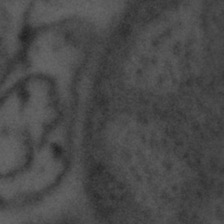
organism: Tuwongella immobilis